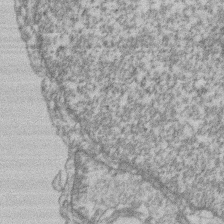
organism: Mouse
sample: T cell stromal cell synapse